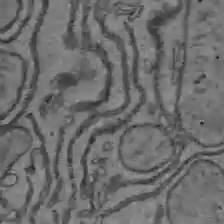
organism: C57BL Mouse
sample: Liver